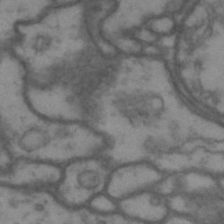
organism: Drosophila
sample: Brain